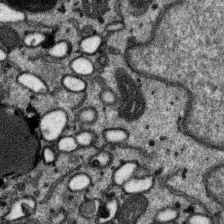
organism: Human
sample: Lung epithelial cells infected with SARS-CoV-2